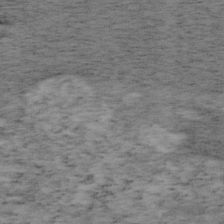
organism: Mouse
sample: OT-I killer T cells with ID8 ovarian cancer cells